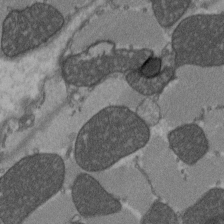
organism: C57BL Mouse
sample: Heart